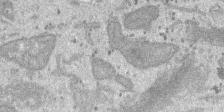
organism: Human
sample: Lung epithelial cells infected with SARS-CoV-2